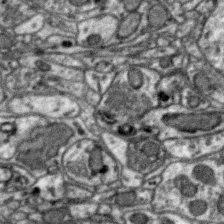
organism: Zebra finch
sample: Brain